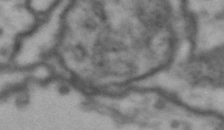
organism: Drosophila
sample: Brain